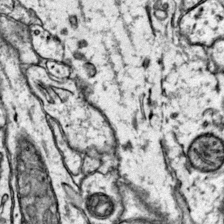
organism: Mouse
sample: Primary visual cortex